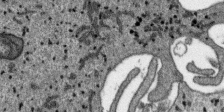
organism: Human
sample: Lung epithelial cells, uninfected (mock) control